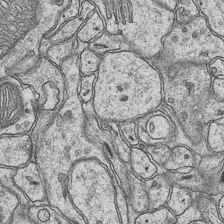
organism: Mouse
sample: CA1 Hippocampus